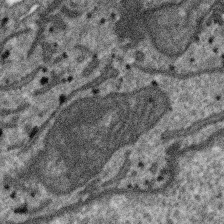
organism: Human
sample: Lung epithelial cells infected with SARS-CoV-2